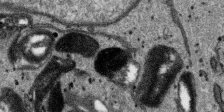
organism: Human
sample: Lung epithelial cells, uninfected (mock) control